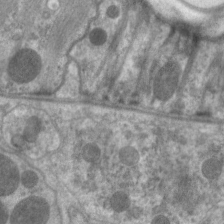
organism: C. elegans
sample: Pharynx